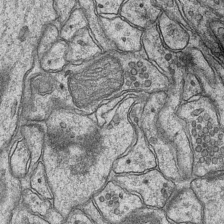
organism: Mouse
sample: CA1 Hippocampus